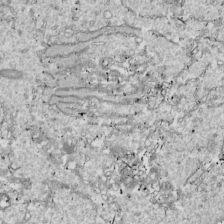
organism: Drosophila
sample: Cell division; meiosis; drosophila spermatocytes